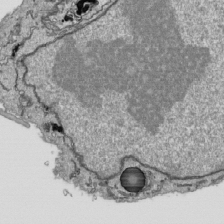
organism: Human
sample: Mitochondria in HCT116 cells